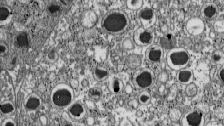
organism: C57BL Mouse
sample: Pancreatic islet